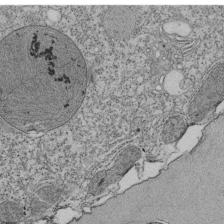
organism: Tetrahymena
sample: Cilia in tetrahymena